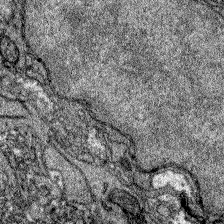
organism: Zebrafish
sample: Larval olfactory bulb